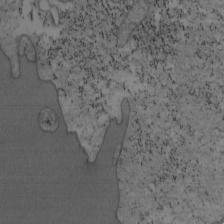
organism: Mouse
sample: OT-I killer T cells with ID8 ovarian cancer cells